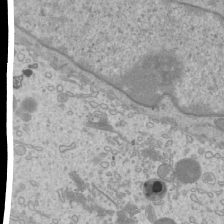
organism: Mouse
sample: Cilia; mouse epididymis